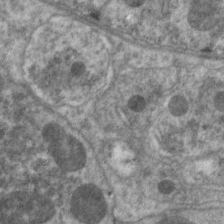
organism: C. elegans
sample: Pharynx